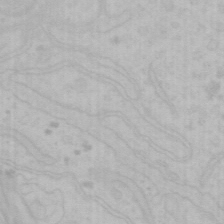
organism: Mouse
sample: Choroid plexus